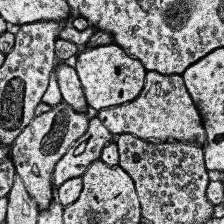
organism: Human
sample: Temporal Lobe